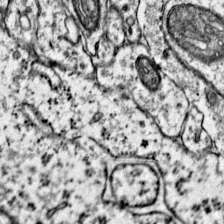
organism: Mouse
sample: Primary visual cortex